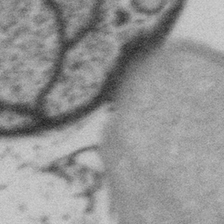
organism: Gemmata obscuriglobus